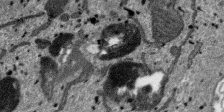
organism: Human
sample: Lung epithelial cells, uninfected (mock) control